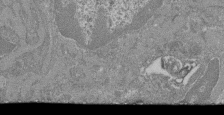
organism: Mouse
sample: Glomerulus